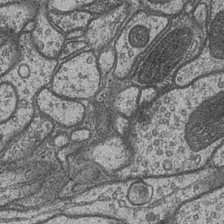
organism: Drosophila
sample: Optic medulla